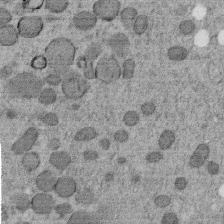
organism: C. elegans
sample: C. elegans embryo early stage